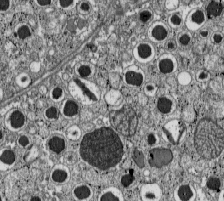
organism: C57BL Mouse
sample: Pancreatic islet